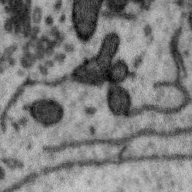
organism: Zebra finch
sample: Brain